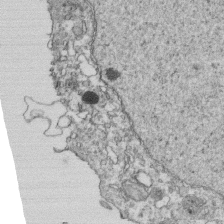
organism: Human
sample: HeLa cell HIV synapse